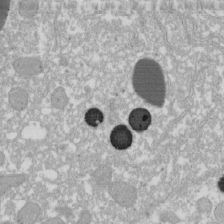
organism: Xenopus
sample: Cilia; centrioles in frog embryo cells